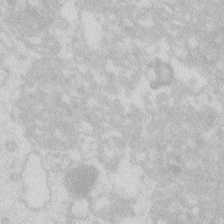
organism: Zebrafish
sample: Macrophage